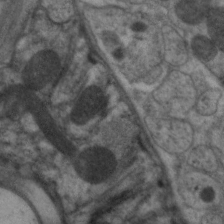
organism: C. elegans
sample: Pharynx